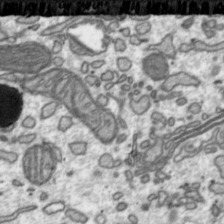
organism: Toxoplasma gondii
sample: Parasites in a vacuole inside a host cell